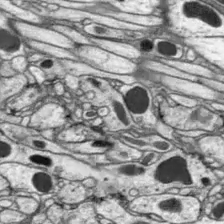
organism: Drosophila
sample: Optic lobe